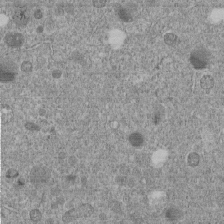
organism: C. elegans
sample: C. elegans embryo early stage